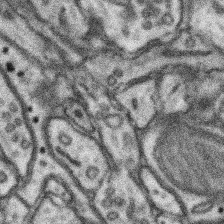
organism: Mouse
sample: Somatosensory cortex neuropil